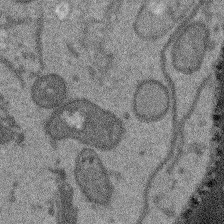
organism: Arabidopsis thaliana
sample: Root tip